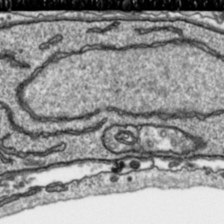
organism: Toxoplasma gondii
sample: Parasites in a vacuole inside a host cell